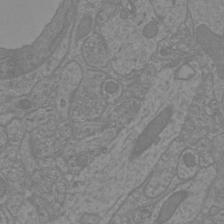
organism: Mouse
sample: Cortical neurons